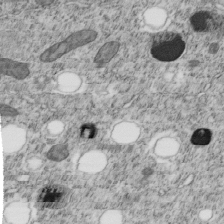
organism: C. elegans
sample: C. elegans embryo early stage